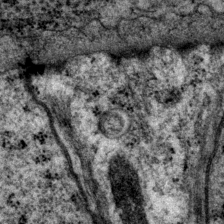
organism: P. pacificus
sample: Pharynx